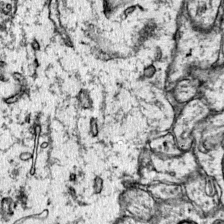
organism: Mouse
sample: Primary visual cortex